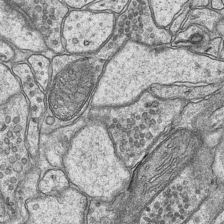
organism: Mouse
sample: CA1 Hippocampus